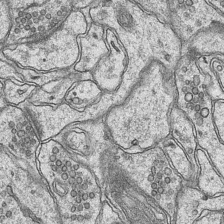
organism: Mouse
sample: CA1 Hippocampus